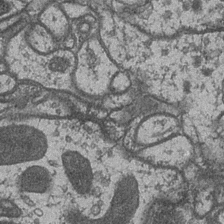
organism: Drosophila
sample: Optic medulla